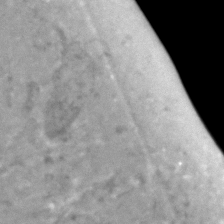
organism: Human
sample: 1205lu cells